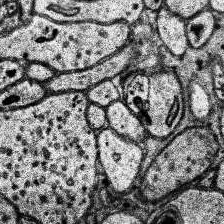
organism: Human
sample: Temporal Lobe